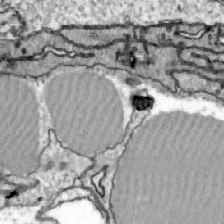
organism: Zebrafish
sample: Actinotrichia fibers